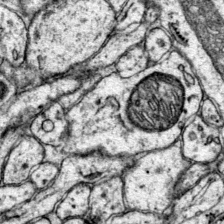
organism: Mouse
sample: Primary visual cortex